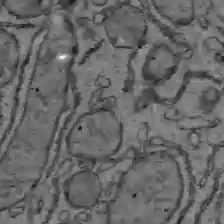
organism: C57BL Mouse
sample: Liver